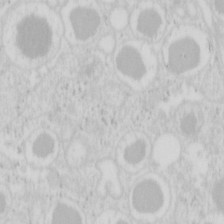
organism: Mouse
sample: Pancreas